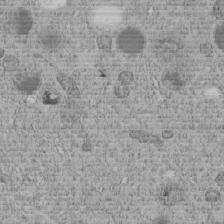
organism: C. elegans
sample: C. elegans embryo early stage